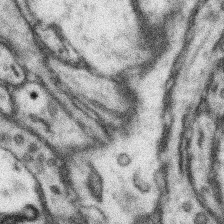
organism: Mouse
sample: Somatosensory cortex neuropil